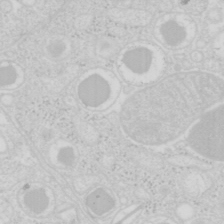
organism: Mouse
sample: Pancreas